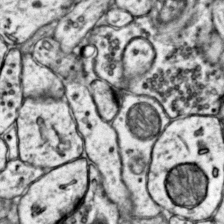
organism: Mouse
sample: Primary visual cortex